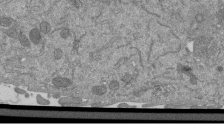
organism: Mouse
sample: ED-1 cell nuclei; centrioles